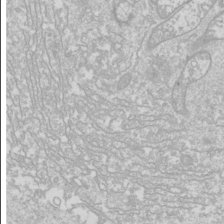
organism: Drosophila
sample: Cell division; meiosis; drosophila spermatocytes